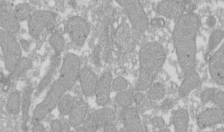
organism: Xenopus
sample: Cilia; centrioles in frog embryo cells